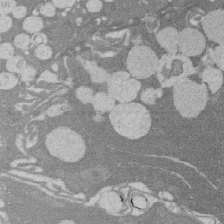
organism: Rat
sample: Salivary granule